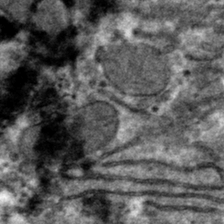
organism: Mouse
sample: Mouse hepatocytes